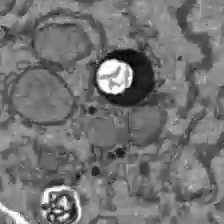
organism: C57BL Mouse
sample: Liver